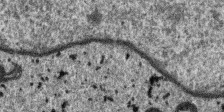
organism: Human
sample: Lung epithelial cells infected with SARS-CoV-2